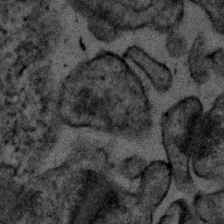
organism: Human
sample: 1205lu cells